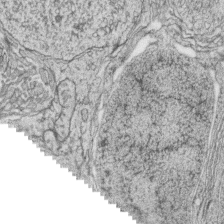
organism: Zebrafish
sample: synaptic ribbons in rod cells and cone cells